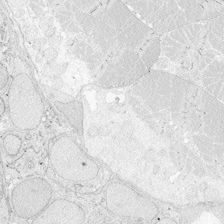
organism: Zebrafish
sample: Whole-Brain